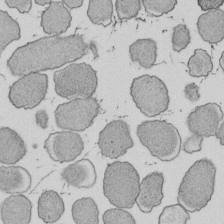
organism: E. coli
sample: Bacterial nucleoid